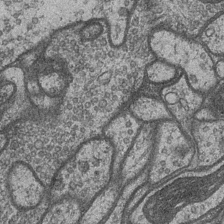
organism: Drosophila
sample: Optic medulla